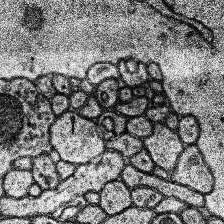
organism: Human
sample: Temporal Lobe